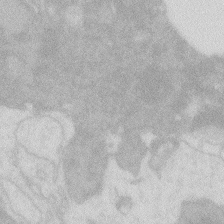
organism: Zebrafish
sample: Macrophage